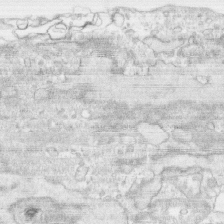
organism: Human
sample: CRL-1474